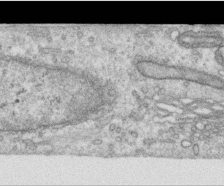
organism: Human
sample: Centriole in RPE cells